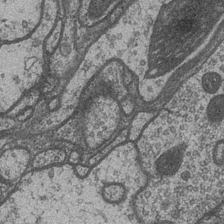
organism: Drosophila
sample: Optic medulla